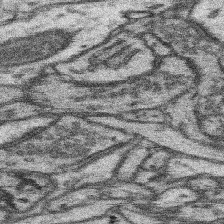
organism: Mouse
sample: Somatosensory cortex neuropil